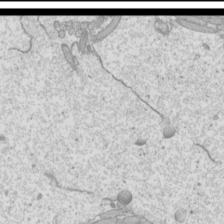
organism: Mouse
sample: Cilia; mouse epididymis